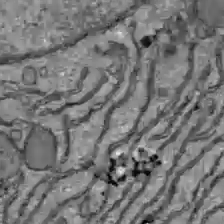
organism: C57BL Mouse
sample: Liver